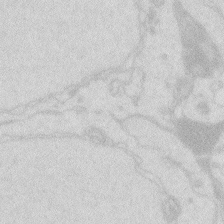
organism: Zebrafish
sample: Macrophage